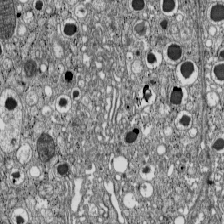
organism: C57BL Mouse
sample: Pancreatic islet